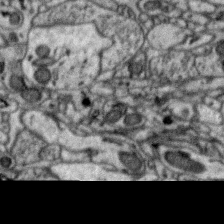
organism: Zebra finch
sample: Brain